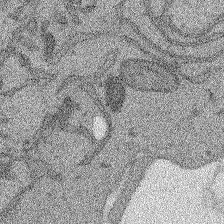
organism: Human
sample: HeLa cells